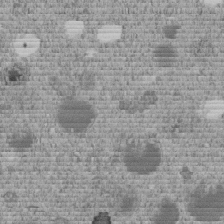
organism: C. elegans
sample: C. elegans embryo early stage